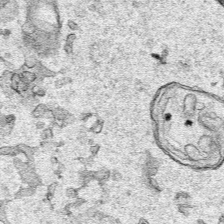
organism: Human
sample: Mitochondria in HCT116 cells